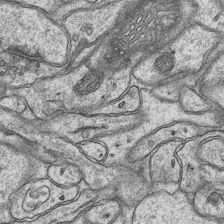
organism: Mouse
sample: CA1 Hippocampus